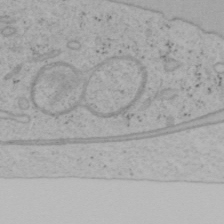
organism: Human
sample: HeLa cells